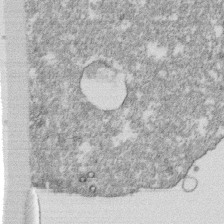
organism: African green monkey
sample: Vero E6 cells infected with SARS-CoV-2